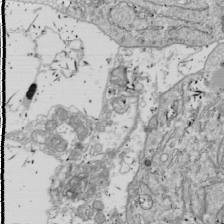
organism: Drosophila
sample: Cell division; meiosis; drosophila spermatocytes